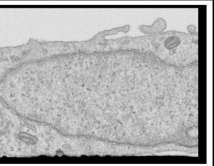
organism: Human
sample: Centriole in RPE cells